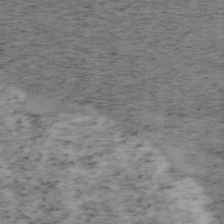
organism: Mouse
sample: OT-I killer T cells with ID8 ovarian cancer cells